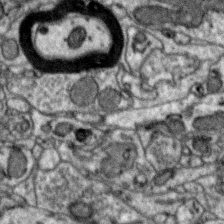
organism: Zebra finch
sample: Brain